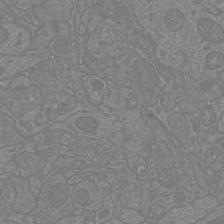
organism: Mouse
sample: Cortical neurons